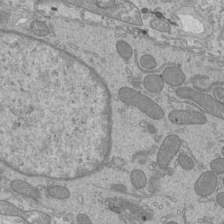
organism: Mouse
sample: Cilia; mouse epididymis